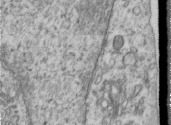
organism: Human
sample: Centriole in RPE cells